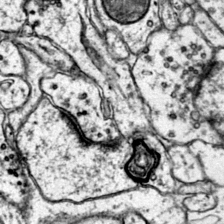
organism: Mouse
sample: Primary visual cortex